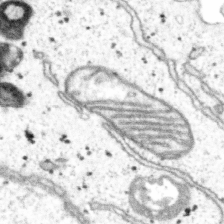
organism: Human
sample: HeLa cells